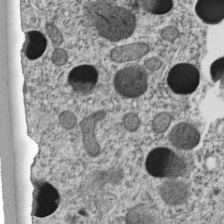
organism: C. elegans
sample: C. elegans embryo early stage